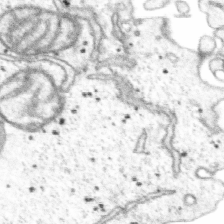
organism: Human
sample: HeLa cells